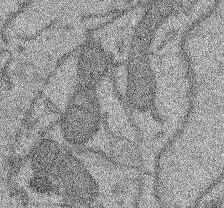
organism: Human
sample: HeLa cells